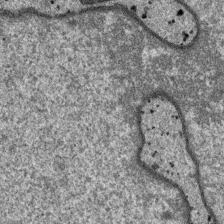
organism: Human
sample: Lung epithelial cells, uninfected (mock) control